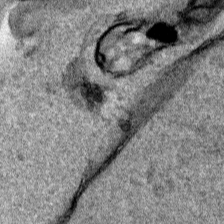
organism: Human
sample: Mitochondria in HCT116 cells